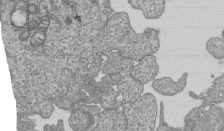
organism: Human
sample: MDA-MB-231 cells